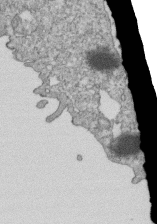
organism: Human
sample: HeLa cell HIV synapse